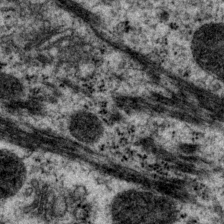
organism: P. pacificus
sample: Pharynx